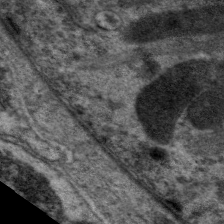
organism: C. elegans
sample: Pharynx